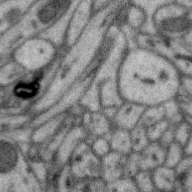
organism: Zebra finch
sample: Brain